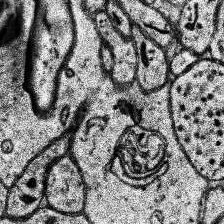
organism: Human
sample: Temporal Lobe